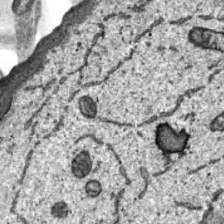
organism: Human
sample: HeLa cells